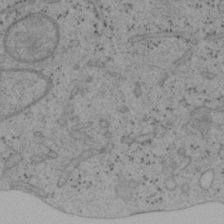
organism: Human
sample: HeLa cells